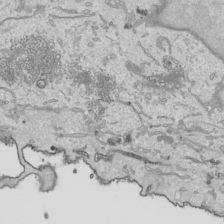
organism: Human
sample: Mitochondria in HCT116 cells